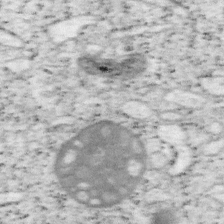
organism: Mouse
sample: OT-I killer T cells with ID8 ovarian cancer cells